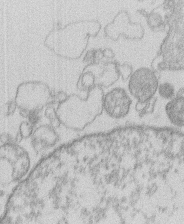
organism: Human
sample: Macrophage cells